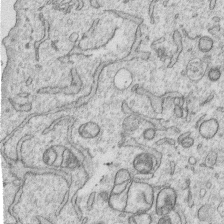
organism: Human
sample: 1205lu cells